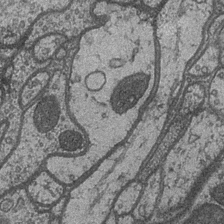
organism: Drosophila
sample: Optic medulla